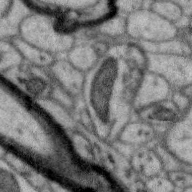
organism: Zebra finch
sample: Brain